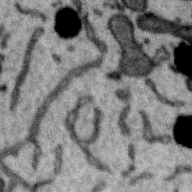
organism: Zebra finch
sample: Brain